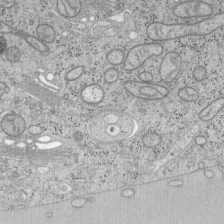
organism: Mouse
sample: OT-I killer T cells with ID8 ovarian cancer cells